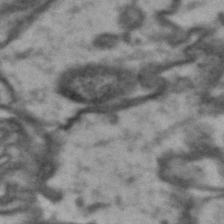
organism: Drosophila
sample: Brain